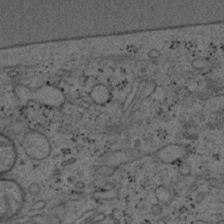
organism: Human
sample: HeLa cells